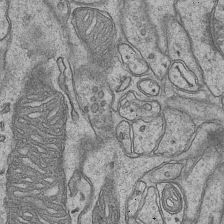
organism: Mouse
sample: CA1 Hippocampus